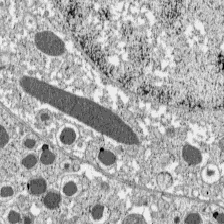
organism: C57BL Mouse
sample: Pancreatic islet